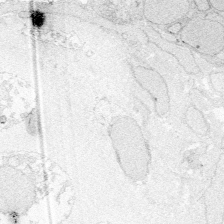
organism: Zebrafish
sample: Whole-Brain